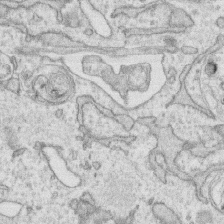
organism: Human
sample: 1205lu cells